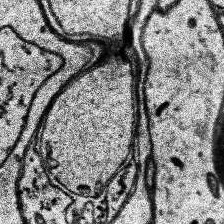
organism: Human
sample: Temporal Lobe